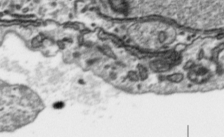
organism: Toxoplasma gondii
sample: Parasites in a vacuole inside a host cell